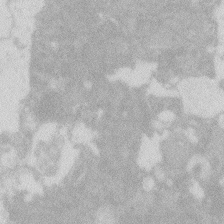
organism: Zebrafish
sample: Macrophage